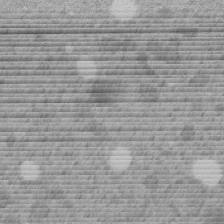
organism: C. elegans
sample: C. elegans embryo early stage